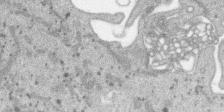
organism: Human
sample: Lung epithelial cells infected with SARS-CoV-2